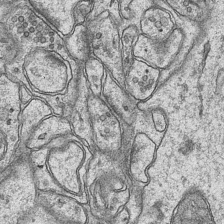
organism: Mouse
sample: CA1 Hippocampus